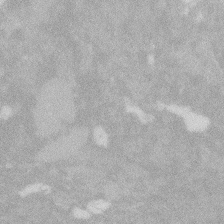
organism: Zebrafish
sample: Macrophage